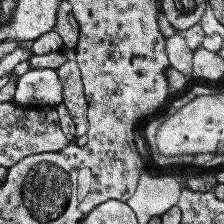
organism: Human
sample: Temporal Lobe